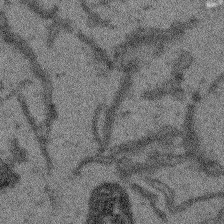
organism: Arabidopsis thaliana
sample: Root tip